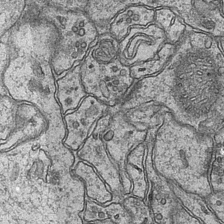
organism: Mouse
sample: CA1 Hippocampus